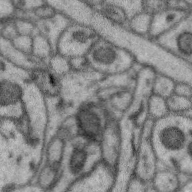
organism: Zebra finch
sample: Brain